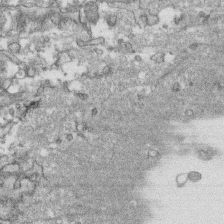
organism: Human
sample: CRL-1474